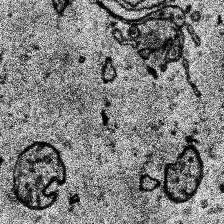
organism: Human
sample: Temporal Lobe